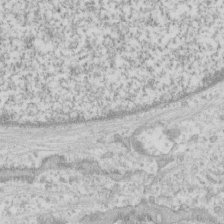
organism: Human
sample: CRL-1474